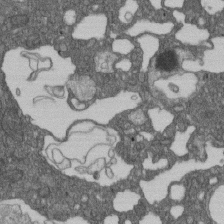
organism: Drosophila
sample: Nephrocyte